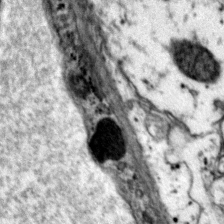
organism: Mouse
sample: Primary visual cortex